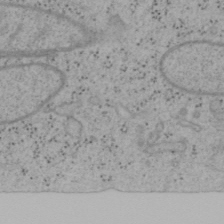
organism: Human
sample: HeLa cells